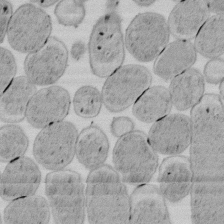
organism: E. coli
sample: Bacterial nucleoid